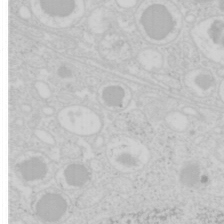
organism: Mouse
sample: Pancreas